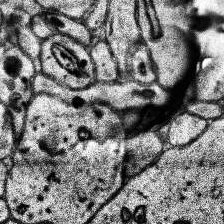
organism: Human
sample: Temporal Lobe